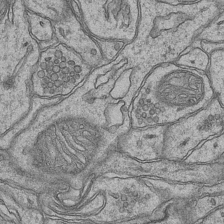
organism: Mouse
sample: CA1 Hippocampus